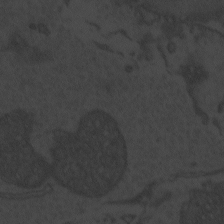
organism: Zebrafish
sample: Macrophage infected with Toxoplasma gondii